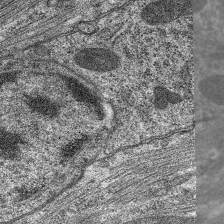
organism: C. elegans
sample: Pharynx